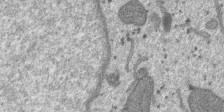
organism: Human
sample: Lung epithelial cells infected with SARS-CoV-2